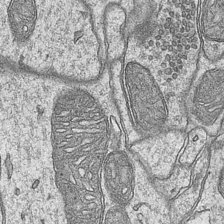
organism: Mouse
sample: CA1 Hippocampus